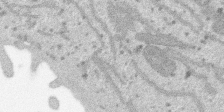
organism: Human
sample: Lung epithelial cells infected with SARS-CoV-2